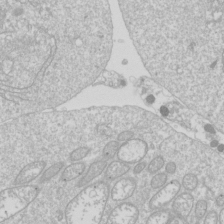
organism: Drosophila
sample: Cell division; meiosis; drosophila spermatocytes